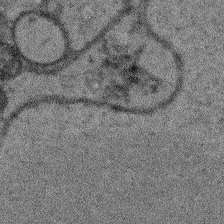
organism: Arabidopsis thaliana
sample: Root tip